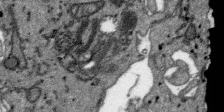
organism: Human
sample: Lung epithelial cells, uninfected (mock) control